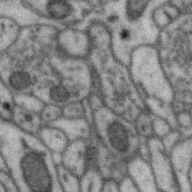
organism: Zebra finch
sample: Brain